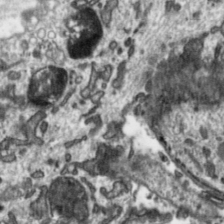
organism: Toxoplasma gondii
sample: Parasites in a vacuole inside a host cell